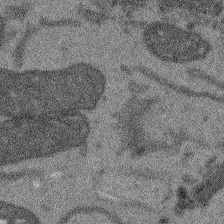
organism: Arabidopsis thaliana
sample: Root tip